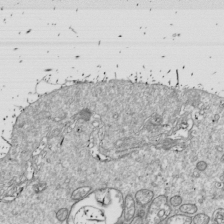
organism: Drosophila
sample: Cell division; meiosis; drosophila spermatocytes